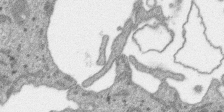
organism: Human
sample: Lung epithelial cells infected with SARS-CoV-2